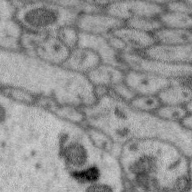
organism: Zebra finch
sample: Brain